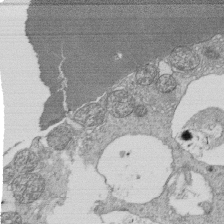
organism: Tetrahymena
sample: Cilia in tetrahymena